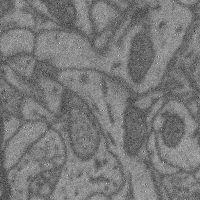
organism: Mouse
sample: Cerebral cortex